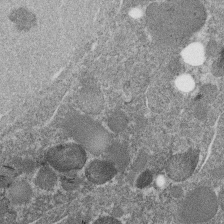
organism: C. elegans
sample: C. elegans embryo early stage